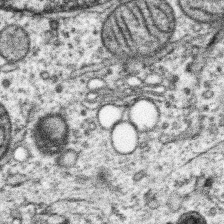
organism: Human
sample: HeLa cells